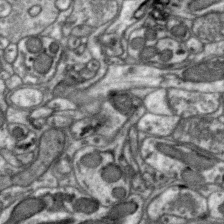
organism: Zebra finch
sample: Brain